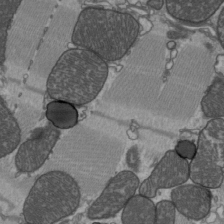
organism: C57BL Mouse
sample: Heart